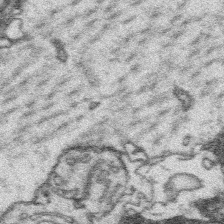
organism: Platynereis dumerilii